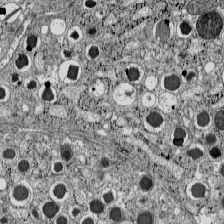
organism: C57BL Mouse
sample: Pancreatic islet